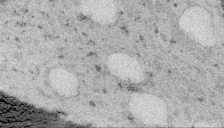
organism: Embia sp.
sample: Silk gland